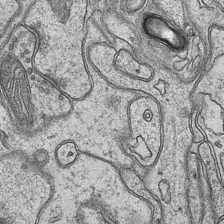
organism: Mouse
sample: CA1 Hippocampus